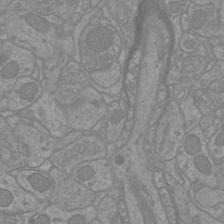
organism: Mouse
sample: Cortical neurons